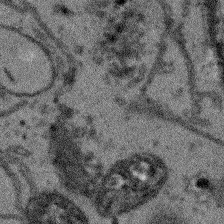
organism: Arabidopsis thaliana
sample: Root tip